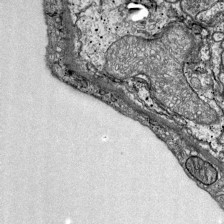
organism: Mouse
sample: Visual Cortex